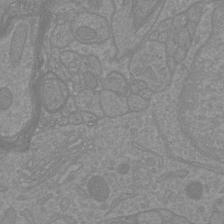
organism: Mouse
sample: Cortical neurons